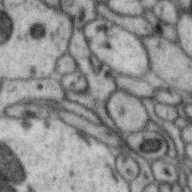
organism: Zebra finch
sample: Brain